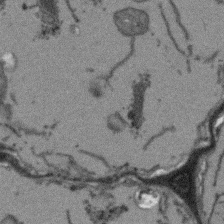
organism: Arabidopsis thaliana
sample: Root tip